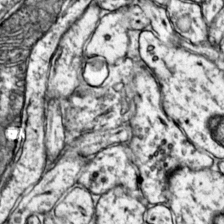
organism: Mouse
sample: Primary visual cortex